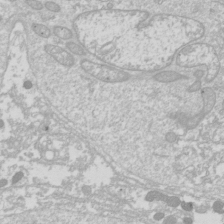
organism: Drosophila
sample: Cell division; meiosis; drosophila spermatocytes